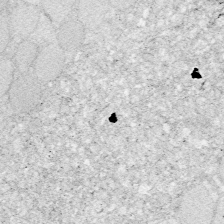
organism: Zebrafish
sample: Whole-Brain